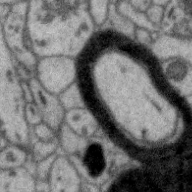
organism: Zebra finch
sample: Brain